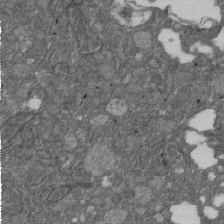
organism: Drosophila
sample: Nephrocyte